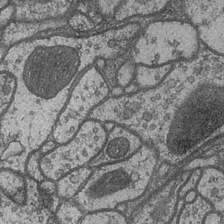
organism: Drosophila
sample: Optic medulla